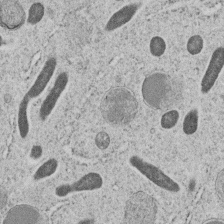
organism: C. elegans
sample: C. elegans embryo early stage